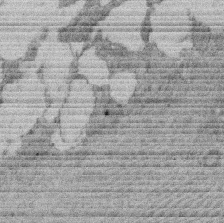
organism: Rat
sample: Salivary granule